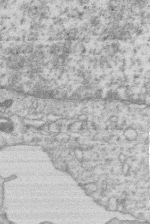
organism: Human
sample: Macrophage cells